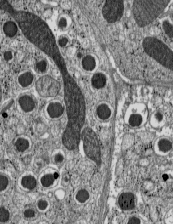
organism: C57BL Mouse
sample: Pancreatic islet